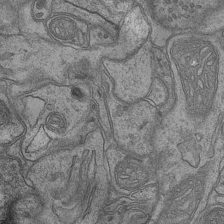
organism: Mouse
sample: CA1 Hippocampus